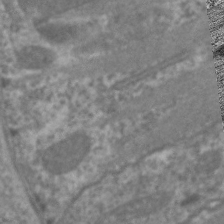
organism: C. elegans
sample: Pharynx